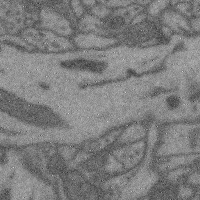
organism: Mouse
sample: Cerebral cortex